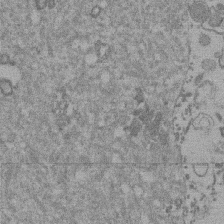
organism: Mouse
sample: Dividing mouse embryo 1 cell stage